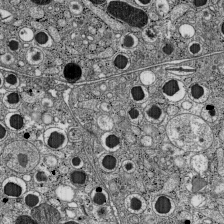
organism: C57BL Mouse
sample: Pancreatic islet